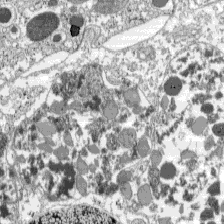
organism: C57BL Mouse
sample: Pancreatic islet